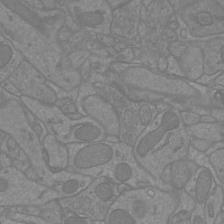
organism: Mouse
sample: Cortical neurons